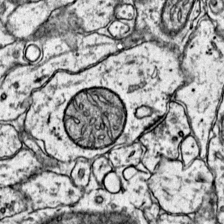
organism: Mouse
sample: Primary visual cortex